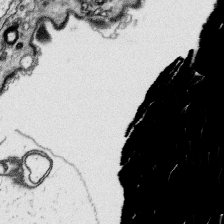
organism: Platynereis dumerilii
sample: Parapodia